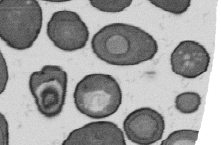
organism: B. subtilis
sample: Bacterial spore